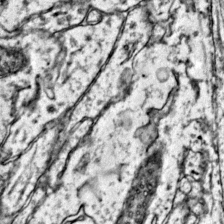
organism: Mouse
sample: Primary visual cortex